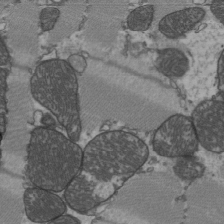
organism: C57BL Mouse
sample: Heart